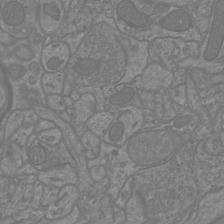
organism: Mouse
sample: Cortical neurons